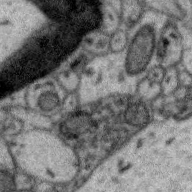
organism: Zebra finch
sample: Brain